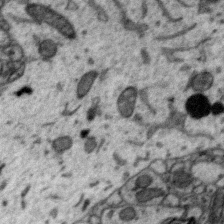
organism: Zebra finch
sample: Brain